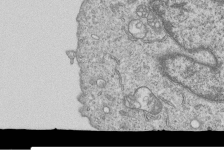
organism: Human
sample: MDA-MB-231 cells